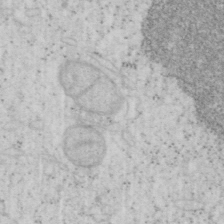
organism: Human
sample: HeLa cells